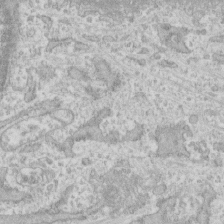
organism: Human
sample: CRL-1474